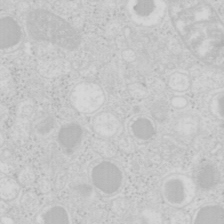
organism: Mouse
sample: Pancreas